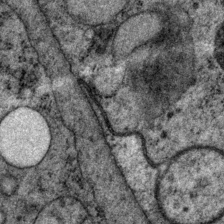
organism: P. pacificus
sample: Pharynx